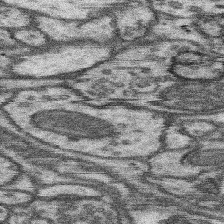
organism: Mouse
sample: Somatosensory cortex neuropil